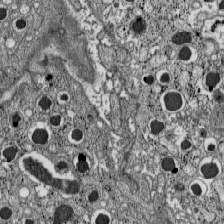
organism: C57BL Mouse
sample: Pancreatic islet